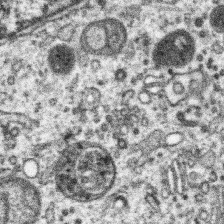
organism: Human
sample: HeLa cells